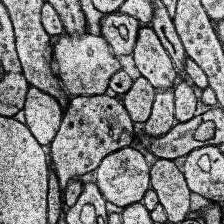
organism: Human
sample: Temporal Lobe